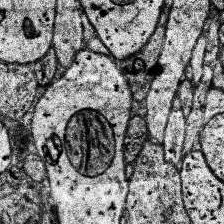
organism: Human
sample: Temporal Lobe